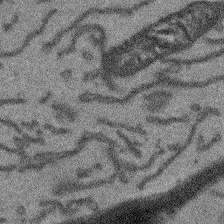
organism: Arabidopsis thaliana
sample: Root tip